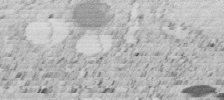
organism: C. elegans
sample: C. elegans embryo early stage